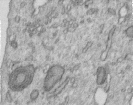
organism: Human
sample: Centriole in RPE cells